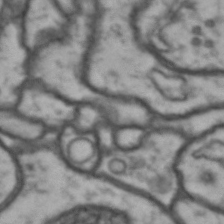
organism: Drosophila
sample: Brain